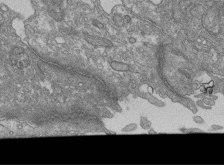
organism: Human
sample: Retinal organoid Rod and Cone cells